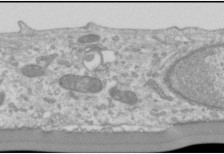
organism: Human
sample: Cilia; basal body in RPE cells